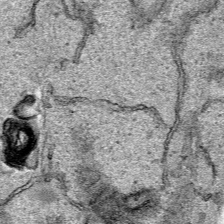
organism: Human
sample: Mitochondria in HCT116 cells